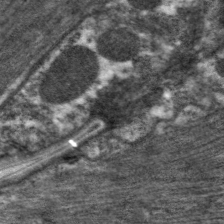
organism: C. elegans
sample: Pharynx